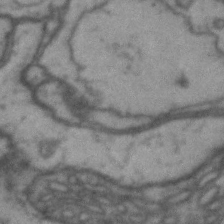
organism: Drosophila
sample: Brain